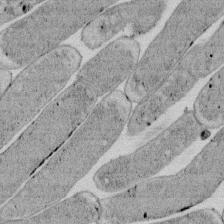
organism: E. coli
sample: Bacterial nucleoid